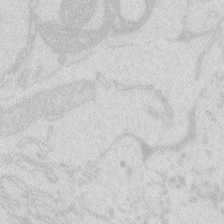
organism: Zebrafish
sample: Macrophage